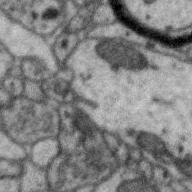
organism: Zebra finch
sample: Brain